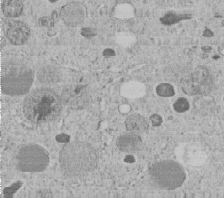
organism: C. elegans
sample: C. elegans embryo early stage